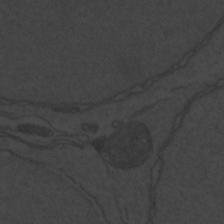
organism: Zebrafish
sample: Macrophage infected with Toxoplasma gondii